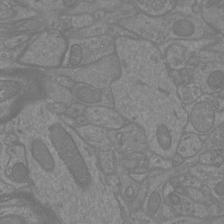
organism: Mouse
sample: Cortical neurons